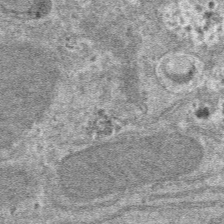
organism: Mouse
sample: Mouse hepatocytes